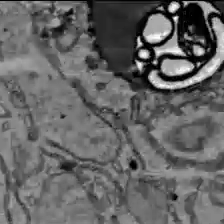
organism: C57BL Mouse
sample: Liver